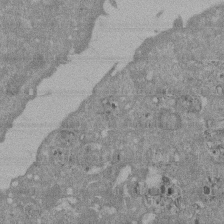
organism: Mouse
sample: ED-1 cell nuclei; centrioles